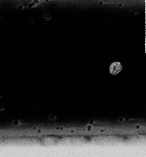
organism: Human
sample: Activated Jurkat CD4+ T cells